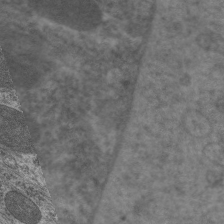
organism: C. elegans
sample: Pharynx